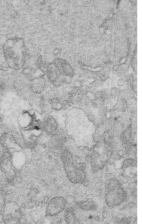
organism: Mouse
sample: Multiciliated cells